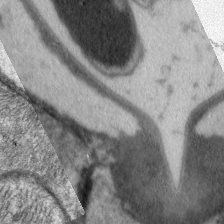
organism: C. elegans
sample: Pharynx